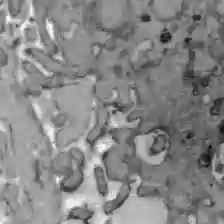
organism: C57BL Mouse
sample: Liver